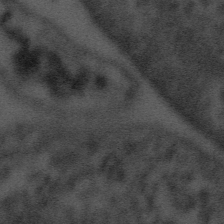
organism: Tuwongella immobilis